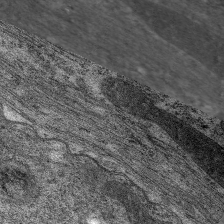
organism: C. elegans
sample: Pharynx